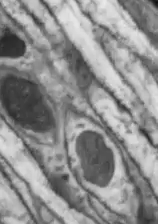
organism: Drosophila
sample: Optic lobe